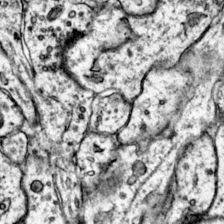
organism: Mouse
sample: Primary visual cortex